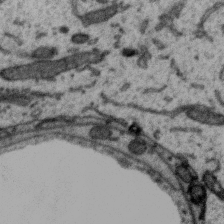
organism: Zebra finch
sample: Brain